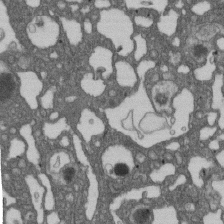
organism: Drosophila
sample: Nephrocyte